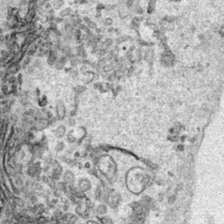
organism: Human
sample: Mitochondria in HCT116 cells